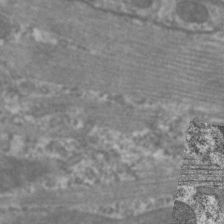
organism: C. elegans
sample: Pharynx